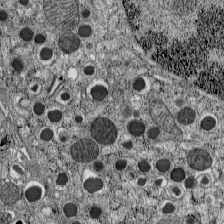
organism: C57BL Mouse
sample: Pancreatic islet